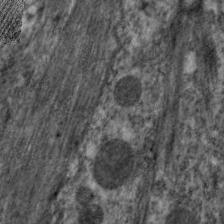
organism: C. elegans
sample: Pharynx